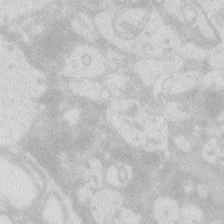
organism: Zebrafish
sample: Macrophage